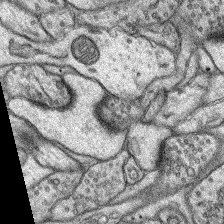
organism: Rat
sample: Hippocampus